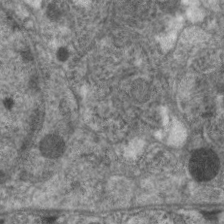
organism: C. elegans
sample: Pharynx